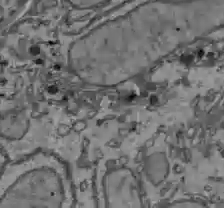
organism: C57BL Mouse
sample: Liver